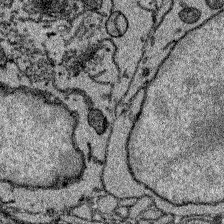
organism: Zebrafish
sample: Larval olfactory bulb